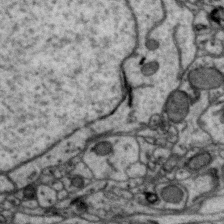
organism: Zebra finch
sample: Brain